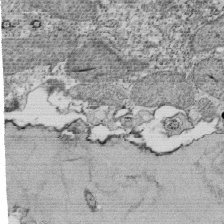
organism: Tetrahymena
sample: Cilia in tetrahymena